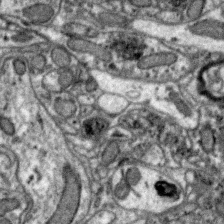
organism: Zebra finch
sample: Brain